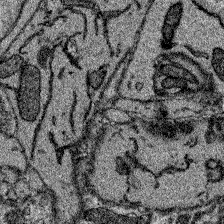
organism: Zebrafish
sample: Larval olfactory bulb